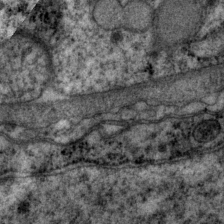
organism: P. pacificus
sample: Pharynx